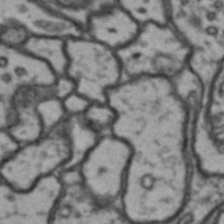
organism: Drosophila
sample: Brain